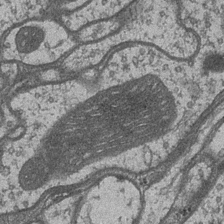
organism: Drosophila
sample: Optic medulla